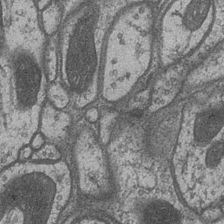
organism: Drosophila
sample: Optic medulla